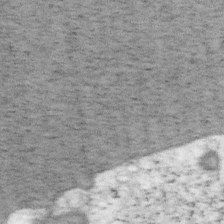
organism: Mouse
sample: OT-I killer T cells with ID8 ovarian cancer cells